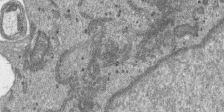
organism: Human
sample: Lung epithelial cells infected with SARS-CoV-2